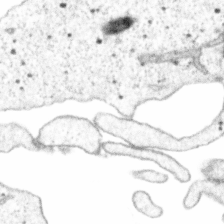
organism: Human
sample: HeLa cells